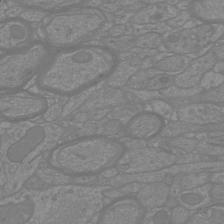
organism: Mouse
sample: Cortical neurons